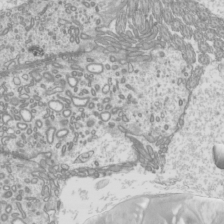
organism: Mouse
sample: Cilia; mouse epididymis